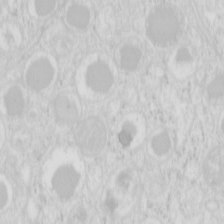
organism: Mouse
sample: Pancreas